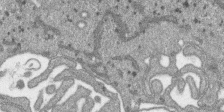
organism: Human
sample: Lung epithelial cells infected with SARS-CoV-2